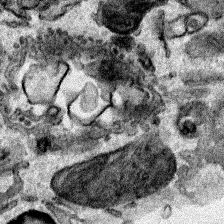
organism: Human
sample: Mitochondria in HCT116 cells